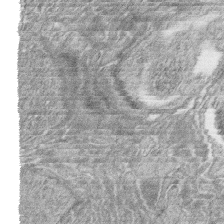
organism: Zebrafish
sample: synaptic ribbons in rod cells and cone cells